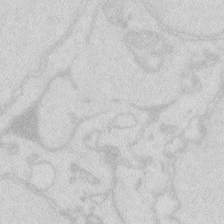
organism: Zebrafish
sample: Macrophage